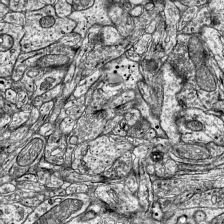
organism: Mouse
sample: Visual Cortex